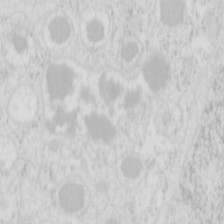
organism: Mouse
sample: Pancreas